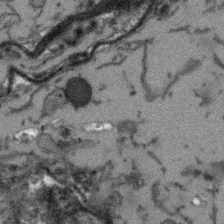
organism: Arabidopsis thaliana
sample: Root tip